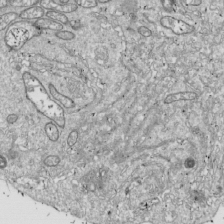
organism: Drosophila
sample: Cell division; meiosis; drosophila spermatocytes